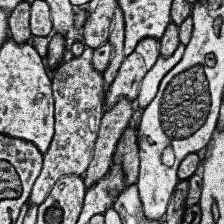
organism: Human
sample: Temporal Lobe